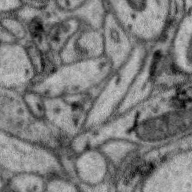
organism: Zebra finch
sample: Brain